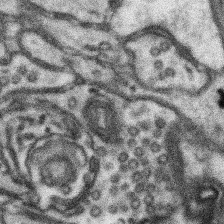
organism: Mouse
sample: Somatosensory cortex neuropil